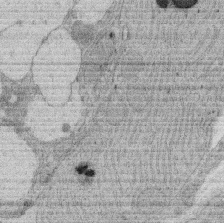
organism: Rat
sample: Salivary granule